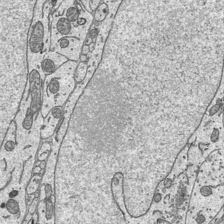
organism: Mouse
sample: Suprachiasmatic nucleus